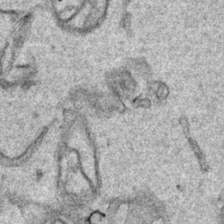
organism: Human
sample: Mitochondria in HCT116 cells